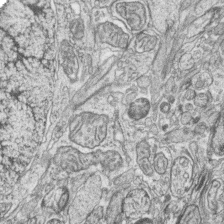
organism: Zebrafish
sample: synaptic ribbons in rod cells and cone cells